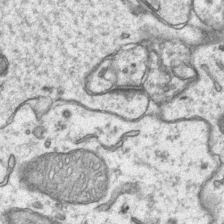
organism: Mouse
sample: CA1 Hippocampus